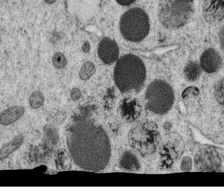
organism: C. elegans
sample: C. elegans oocyte; sperm cells